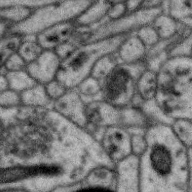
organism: Zebra finch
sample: Brain